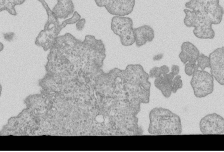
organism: Human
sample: MDA-MB-231 cells